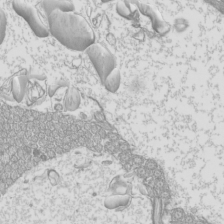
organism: Mouse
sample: Cilia; mouse epididymis